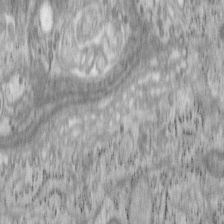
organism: Human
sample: HeLa cells